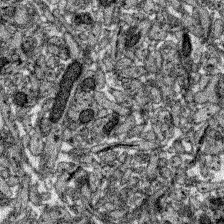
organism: Zebrafish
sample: Larval olfactory bulb